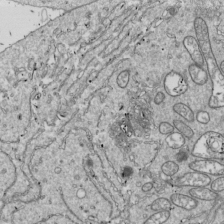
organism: Drosophila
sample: Cell division; meiosis; drosophila spermatocytes